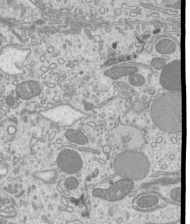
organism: Mouse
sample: Cilia; mouse epididymis